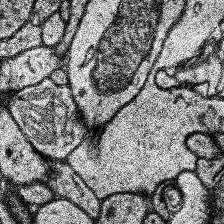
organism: Human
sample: Temporal Lobe